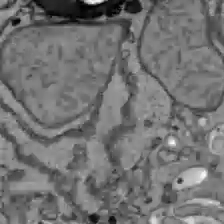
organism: C57BL Mouse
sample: Liver